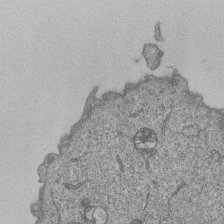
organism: Human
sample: MDA-MB-231 cells